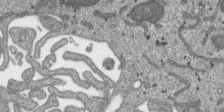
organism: Human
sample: Lung epithelial cells infected with SARS-CoV-2